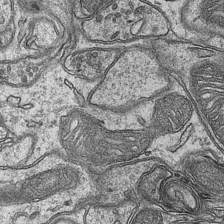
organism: Mouse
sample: CA1 Hippocampus